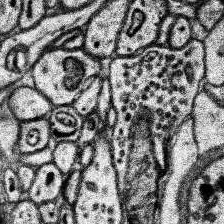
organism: Human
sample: Temporal Lobe